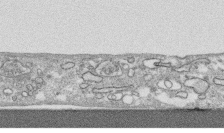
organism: Human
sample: CRL-1474